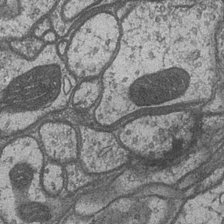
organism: Drosophila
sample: Optic medulla